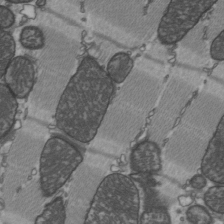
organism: C57BL Mouse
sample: Heart